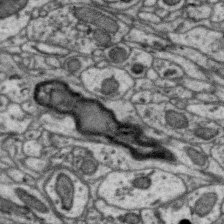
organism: Zebra finch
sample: Brain